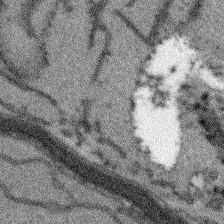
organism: Arabidopsis thaliana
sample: Root tip